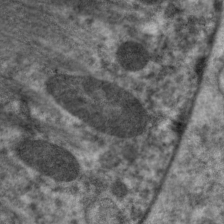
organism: C. elegans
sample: Pharynx